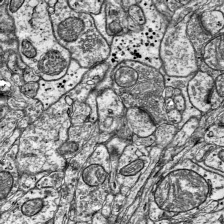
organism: Mouse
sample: Visual Cortex